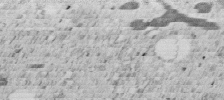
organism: C. elegans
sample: C. elegans embryo early stage